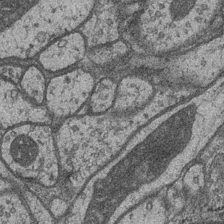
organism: Drosophila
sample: Optic medulla